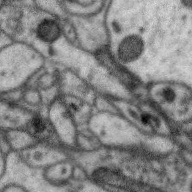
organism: Zebra finch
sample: Brain